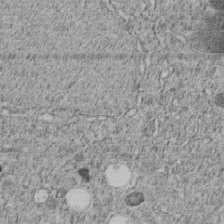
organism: C. elegans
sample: C. elegans embryo early stage